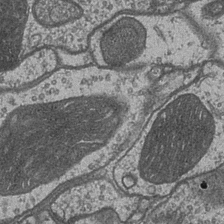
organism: Drosophila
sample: Optic medulla